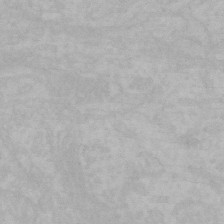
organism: Mouse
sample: Choroid plexus